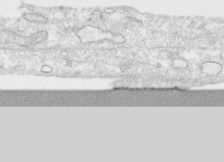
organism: Human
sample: CRL-1474